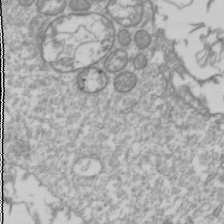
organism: Drosophila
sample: Cell division; meiosis; drosophila spermatocytes